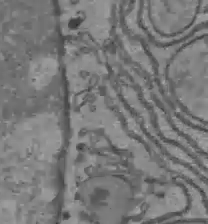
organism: C57BL Mouse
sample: Liver